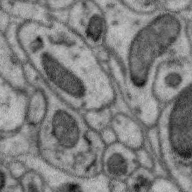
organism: Zebra finch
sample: Brain